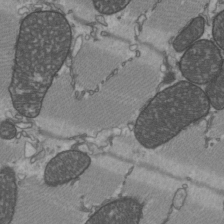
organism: C57BL Mouse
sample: Heart